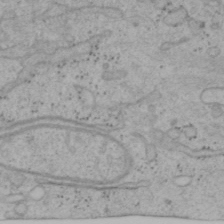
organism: Human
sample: HeLa cells